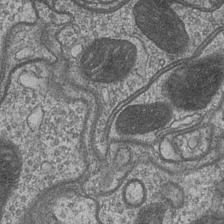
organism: Drosophila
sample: Optic medulla